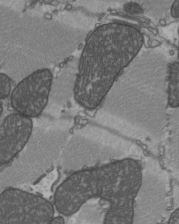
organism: C57BL Mouse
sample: Heart